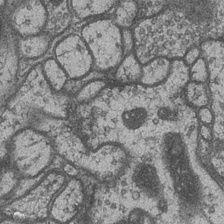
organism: Drosophila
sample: Optic medulla